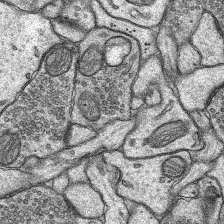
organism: Rat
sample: Hippocampus